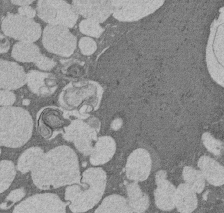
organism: Rat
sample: Salivary granule